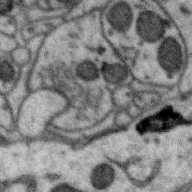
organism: Zebra finch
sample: Brain